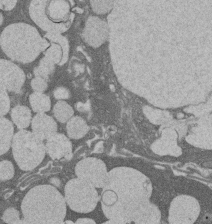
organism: Rat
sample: Salivary granule